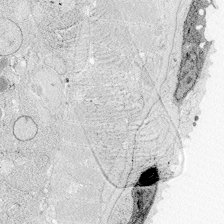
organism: Zebrafish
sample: Whole-Brain